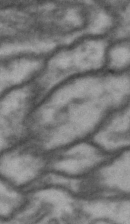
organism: Drosophila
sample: Brain